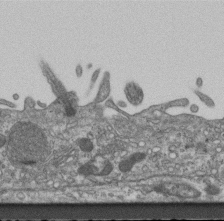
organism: Mouse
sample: Centriole in ependymal cells